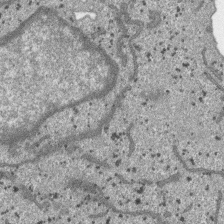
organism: Human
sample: Lung epithelial cells infected with SARS-CoV-2